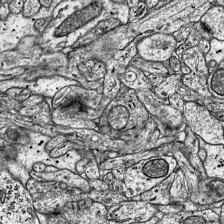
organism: Mouse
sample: Visual Cortex